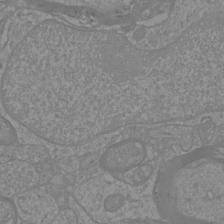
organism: Mouse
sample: Cortical neurons